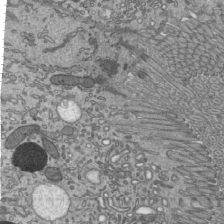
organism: Mouse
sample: Mouse epididymis efferent ductule cilia